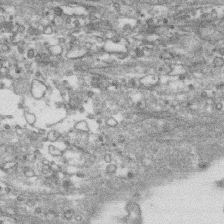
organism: Human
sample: CRL-1474